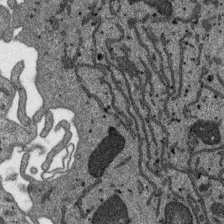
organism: Human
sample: Lung epithelial cells infected with SARS-CoV-2